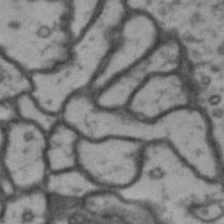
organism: Drosophila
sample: Brain